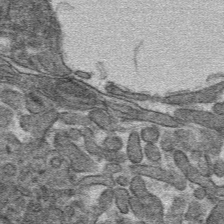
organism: Mouse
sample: Mouse hepatocytes